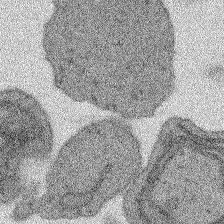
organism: Human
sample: HeLa cells